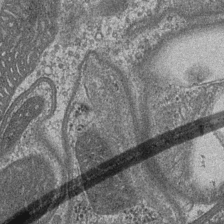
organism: Drosophila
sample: Optic medulla